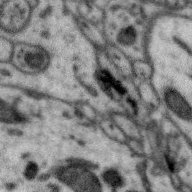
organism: Zebra finch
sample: Brain